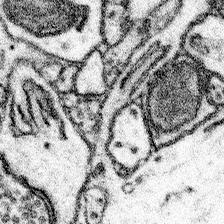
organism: Mouse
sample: Somatosensory cortex neuropil